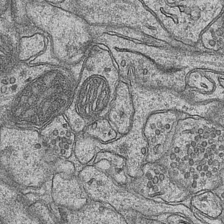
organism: Mouse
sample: CA1 Hippocampus